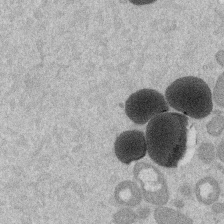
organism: Mouse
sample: Dividing mouse embryo 1 cell stage